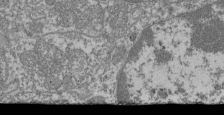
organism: Mouse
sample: Glomerulus